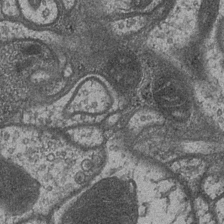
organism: Drosophila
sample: Optic medulla